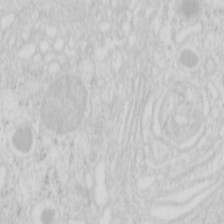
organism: Mouse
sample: Pancreas